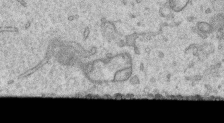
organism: Human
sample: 1205lu cells